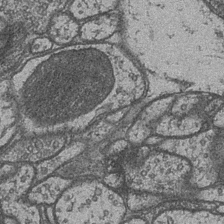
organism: Drosophila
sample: Optic medulla